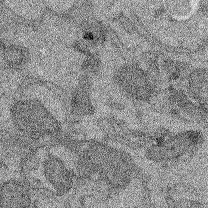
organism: Human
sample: HeLa cells